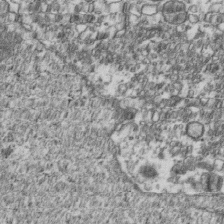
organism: Human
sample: Activated Jurkat CD4+ T cells